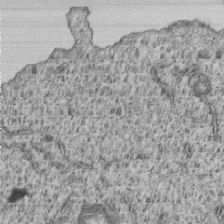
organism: Human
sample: MDA-MB-231 cells